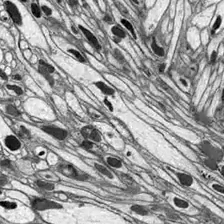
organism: Drosophila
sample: Optic lobe